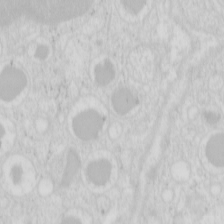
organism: Mouse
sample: Pancreas